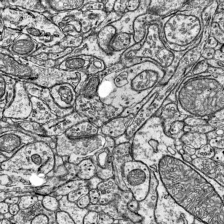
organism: Mouse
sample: Visual Cortex